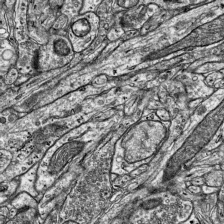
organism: Mouse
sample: Visual Cortex